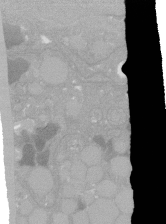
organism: C. elegans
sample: C. elegans oocyte; sperm cells